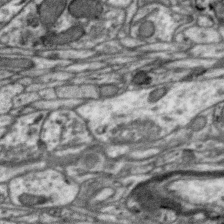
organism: Zebra finch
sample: Brain